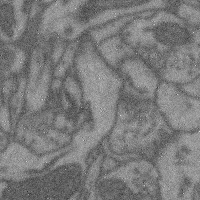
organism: Mouse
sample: Cerebral cortex